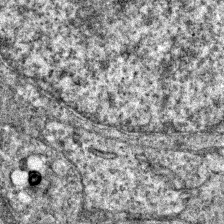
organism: Zebrafish